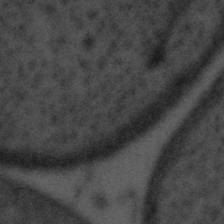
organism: Tuwongella immobilis